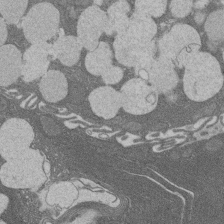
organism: Rat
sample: Salivary granule